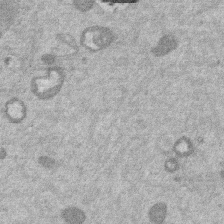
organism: Mouse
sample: Dividing mouse embryo 1 cell stage